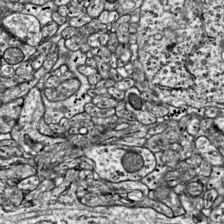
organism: Mouse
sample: Visual Cortex